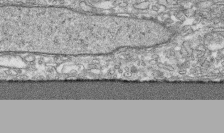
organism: Human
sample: CRL-1474